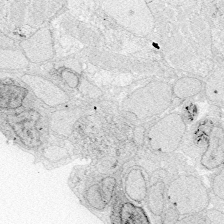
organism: Zebrafish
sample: Whole-Brain